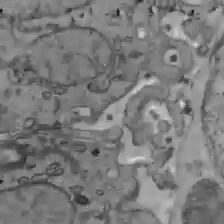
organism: C57BL Mouse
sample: Liver